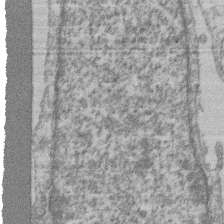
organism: Mouse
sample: T cell stromal cell synapse